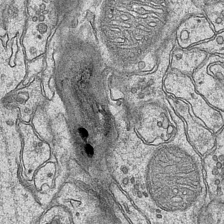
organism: Mouse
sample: CA1 Hippocampus